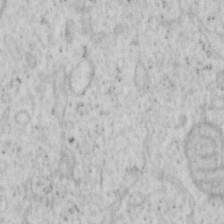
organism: Human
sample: HeLa cells